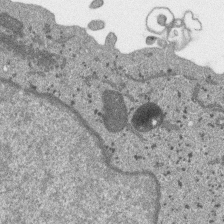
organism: Human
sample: Lung epithelial cells infected with SARS-CoV-2